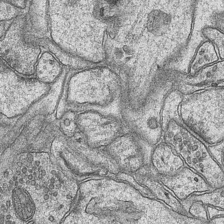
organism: Mouse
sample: CA1 Hippocampus